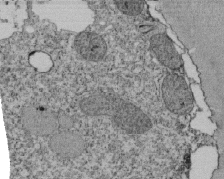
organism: Tetrahymena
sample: Cilia in tetrahymena